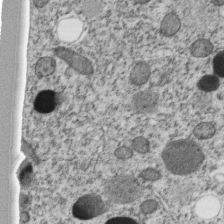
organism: C. elegans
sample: C. elegans embryo early stage